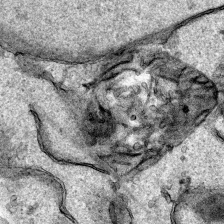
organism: Human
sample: Mitochondria in HCT116 cells